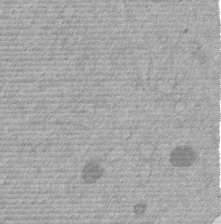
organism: Mouse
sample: Dividing mouse embryo 1 cell stage